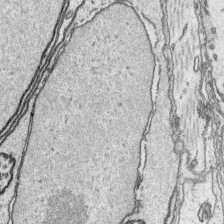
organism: Platynereis dumerilii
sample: Parapodia